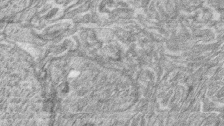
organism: Zebrafish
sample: synaptic ribbons in rod cells and cone cells